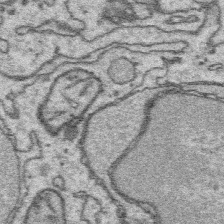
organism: Platynereis dumerilii